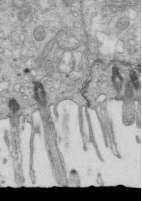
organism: Mouse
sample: Multiciliated cells